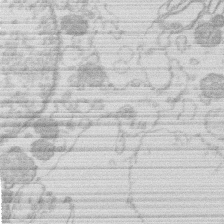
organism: Human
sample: Macrophage cells